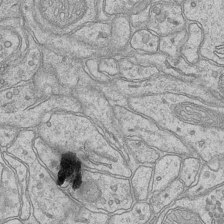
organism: Mouse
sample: CA1 Hippocampus